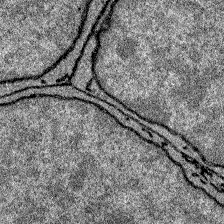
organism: Zebrafish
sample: Larval olfactory bulb